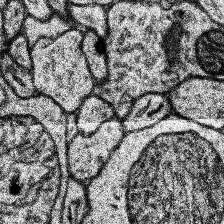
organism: Human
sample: Temporal Lobe